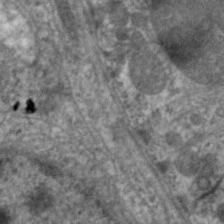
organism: C. elegans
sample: Pharynx